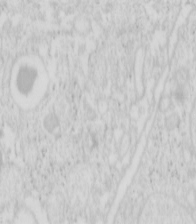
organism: Mouse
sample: Pancreas